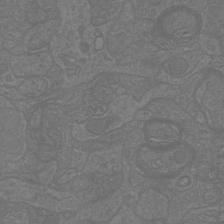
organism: Mouse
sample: Cortical neurons